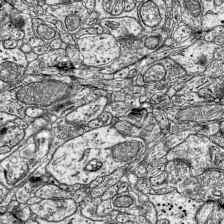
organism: Mouse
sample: Visual Cortex